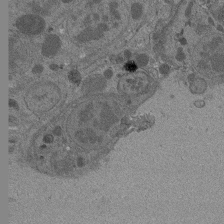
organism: Drosophila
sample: Antenna